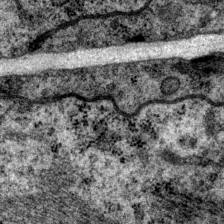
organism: P. pacificus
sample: Pharynx